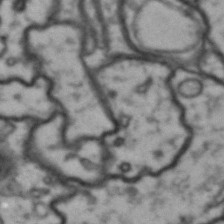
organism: Drosophila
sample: Brain